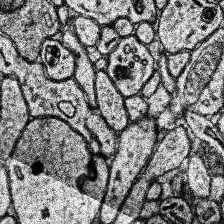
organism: Human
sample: Temporal Lobe